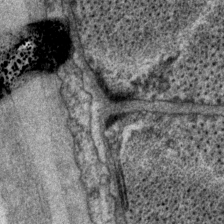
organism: P. pacificus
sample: Pharynx